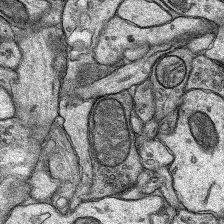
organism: Rat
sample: Hippocampus